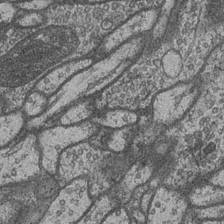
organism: Drosophila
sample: Optic medulla